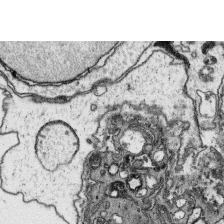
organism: Platynereis dumerilii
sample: Parapodia